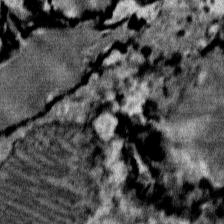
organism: Mouse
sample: Mouse Salivary gland